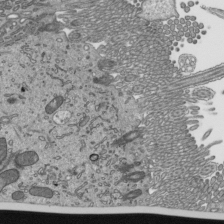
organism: Mouse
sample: Mouse epididymis efferent ductule cilia